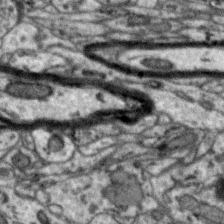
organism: Zebra finch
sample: Brain